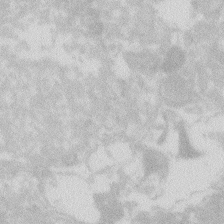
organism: Zebrafish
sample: Macrophage